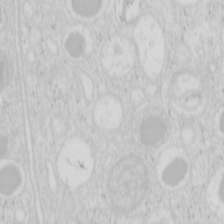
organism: Mouse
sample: Pancreas